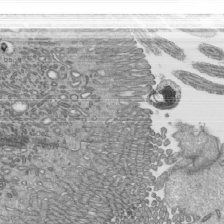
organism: Mouse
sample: Mouse epididymis efferent ductule cilia